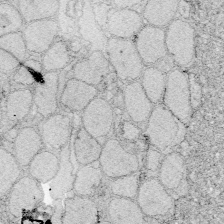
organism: Zebrafish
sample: Whole-Brain